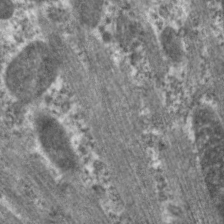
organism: C. elegans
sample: Pharynx